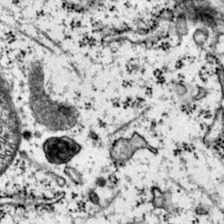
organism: Mouse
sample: Primary visual cortex